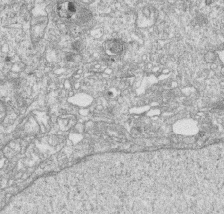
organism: Human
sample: HeLa cell HIV synapse